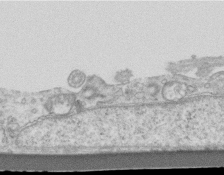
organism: Mouse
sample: Centriole in ependymal cells